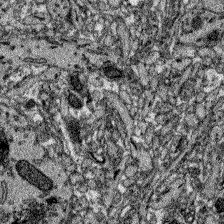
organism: Zebrafish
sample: Larval olfactory bulb